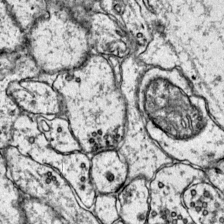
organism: Mouse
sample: Primary visual cortex